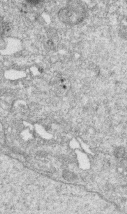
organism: Human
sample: HeLa cell HIV synapse